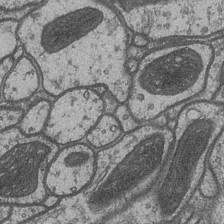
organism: Drosophila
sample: Optic medulla